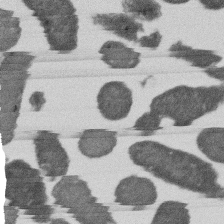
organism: E. coli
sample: Bacterial nucleoid